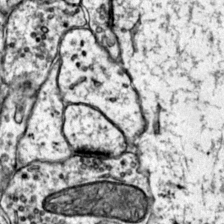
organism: Mouse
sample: Primary visual cortex